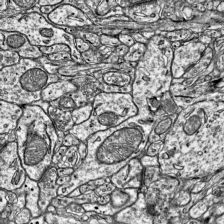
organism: Mouse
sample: Visual Cortex